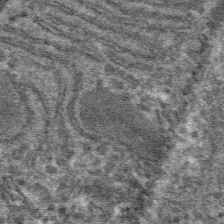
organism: Mouse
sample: Mouse hepatocytes